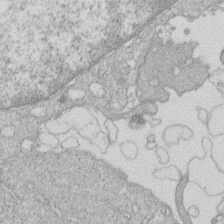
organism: Human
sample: Macrophage cells